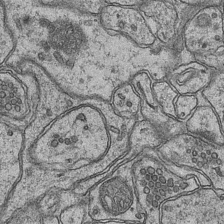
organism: Mouse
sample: CA1 Hippocampus